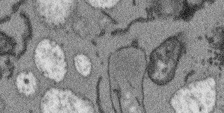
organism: Arabidopsis thaliana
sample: Root tip